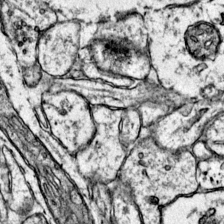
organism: Mouse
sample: Primary visual cortex